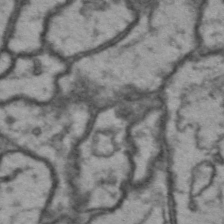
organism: Drosophila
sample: Brain